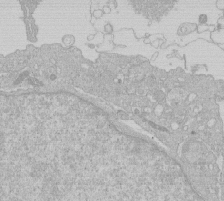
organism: Human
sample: Macrophage cells